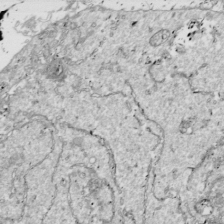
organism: Drosophila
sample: Cell division; meiosis; drosophila spermatocytes